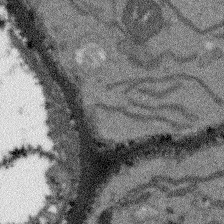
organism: Arabidopsis thaliana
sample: Root tip